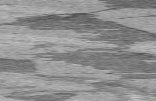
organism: C57BL Mouse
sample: Heart